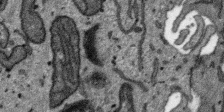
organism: Human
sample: Lung epithelial cells, uninfected (mock) control